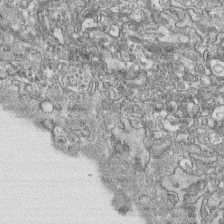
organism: Human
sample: CRL-1474